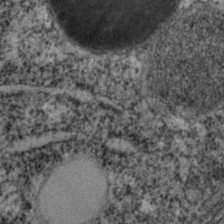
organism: C. elegans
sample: C. elegans embryo